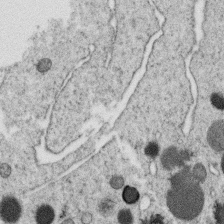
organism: C. elegans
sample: C. elegans oocyte; sperm cells